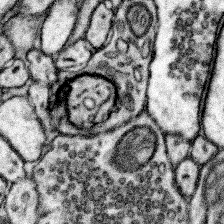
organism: Mouse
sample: Somatosensory cortex neuropil